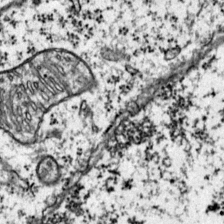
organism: Mouse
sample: Primary visual cortex